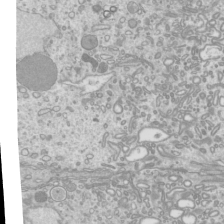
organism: Mouse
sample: Cilia; mouse epididymis